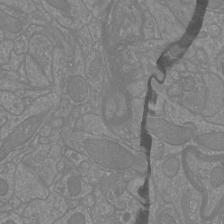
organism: Mouse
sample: Cortical neurons